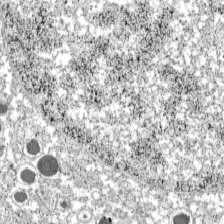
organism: C57BL Mouse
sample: Pancreatic islet